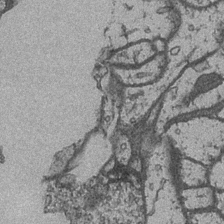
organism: Drosophila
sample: Optic medulla